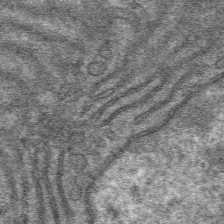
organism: Mouse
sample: Mouse hepatocytes